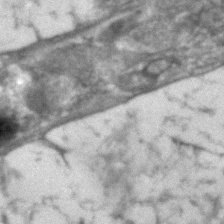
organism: Human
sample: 1205lu cells